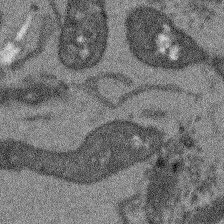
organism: Arabidopsis thaliana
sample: Root tip